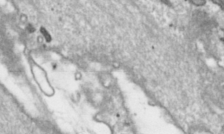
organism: Toxoplasma gondii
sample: Parasites in a vacuole inside a host cell